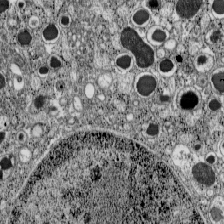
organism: C57BL Mouse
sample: Pancreatic islet